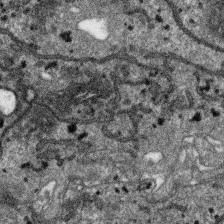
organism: Human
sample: Lung epithelial cells infected with SARS-CoV-2